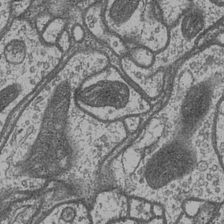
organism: Drosophila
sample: Optic medulla